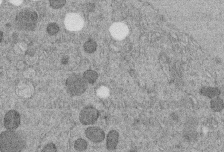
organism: C. elegans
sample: C. elegans embryo early stage